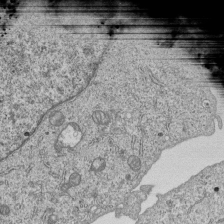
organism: Human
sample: MDA-MB-231 cells